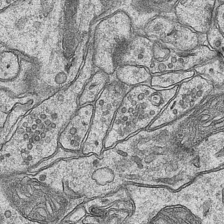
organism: Mouse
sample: CA1 Hippocampus